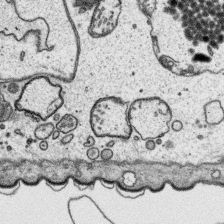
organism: Platynereis dumerilii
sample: Parapodia